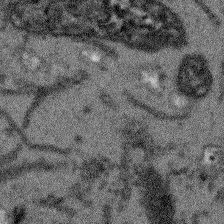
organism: Arabidopsis thaliana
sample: Root tip